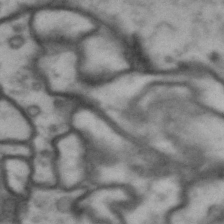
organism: Drosophila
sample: Brain